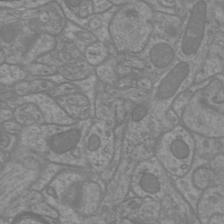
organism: Mouse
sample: Cortical neurons